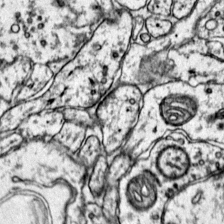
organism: Mouse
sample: Primary visual cortex